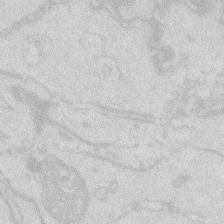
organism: Zebrafish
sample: Macrophage